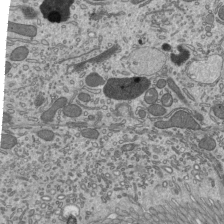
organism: Mouse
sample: Mouse epididymis efferent ductule cilia